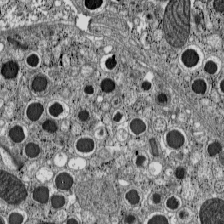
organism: C57BL Mouse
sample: Pancreatic islet